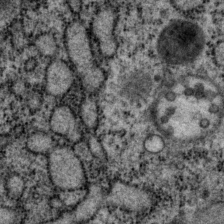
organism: P. pacificus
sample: Pharynx